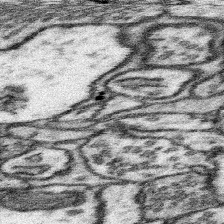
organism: Mouse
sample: Somatosensory cortex neuropil